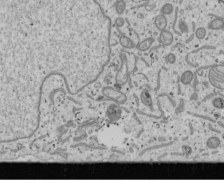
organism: Human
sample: Mitochondria in U2OS cells